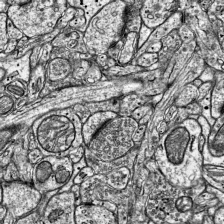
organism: Mouse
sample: Visual Cortex